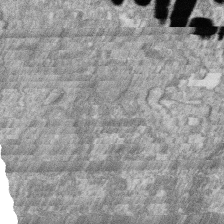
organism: Zebrafish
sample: Cilia; retinal pigment epithelium